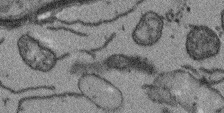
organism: Arabidopsis thaliana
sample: Root tip